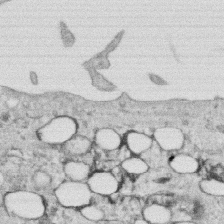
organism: Human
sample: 1205lu cells